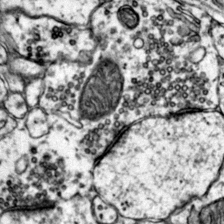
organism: Mouse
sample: Primary visual cortex